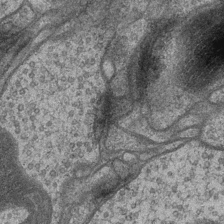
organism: Drosophila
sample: Optic medulla